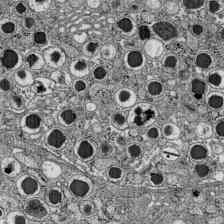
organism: C57BL Mouse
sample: Pancreatic islet